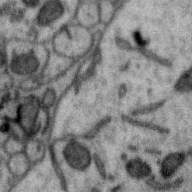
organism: Zebra finch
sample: Brain